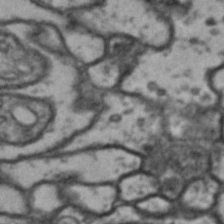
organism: Drosophila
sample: Brain